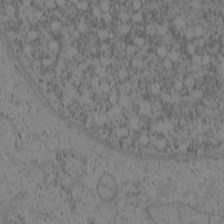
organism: Human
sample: HeLa cells